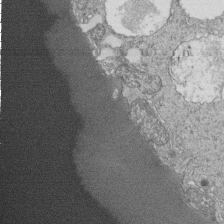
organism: Tetrahymena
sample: Cilia in tetrahymena